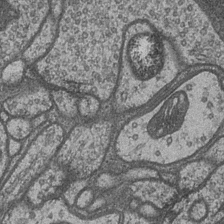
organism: Drosophila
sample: Optic medulla